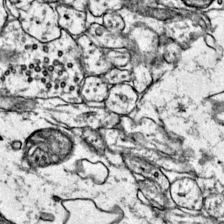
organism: Mouse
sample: Primary visual cortex